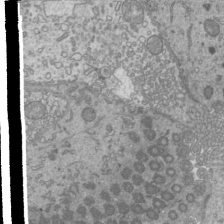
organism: Mouse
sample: Cilia; mouse epididymis